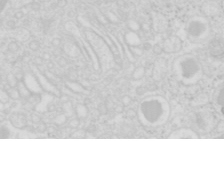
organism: Mouse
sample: Pancreas